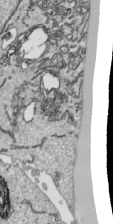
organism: Human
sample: Mitochondria in HCT116 cells